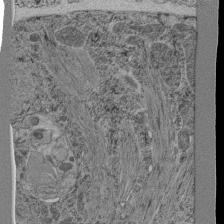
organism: C. elegans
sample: C. elegans pharynx